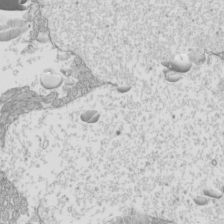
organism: Mouse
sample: Cilia; mouse epididymis